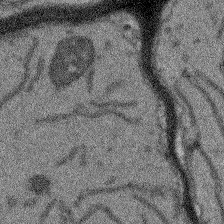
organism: Arabidopsis thaliana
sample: Root tip